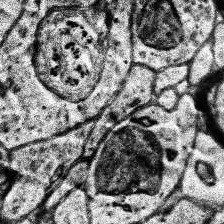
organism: Human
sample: Temporal Lobe